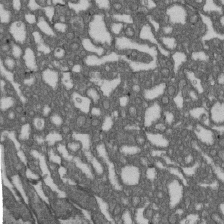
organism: Drosophila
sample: Nephrocyte